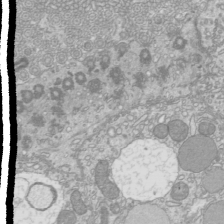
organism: Mouse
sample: Cilia; mouse epididymis